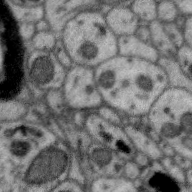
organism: Zebra finch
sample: Brain